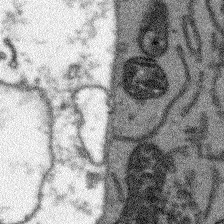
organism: Arabidopsis thaliana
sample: Root tip